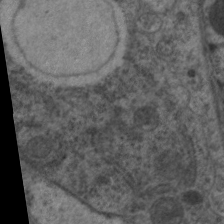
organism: C. elegans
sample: Pharynx